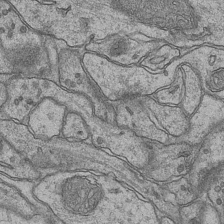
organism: Mouse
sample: CA1 Hippocampus